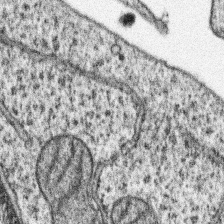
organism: Human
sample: HeLa cells